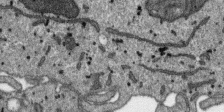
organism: Human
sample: Lung epithelial cells, uninfected (mock) control